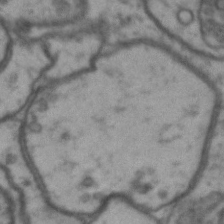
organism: Drosophila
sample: Brain